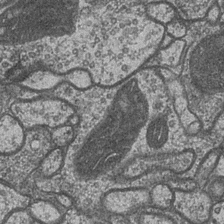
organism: Drosophila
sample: Optic medulla